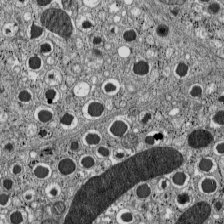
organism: C57BL Mouse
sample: Pancreatic islet